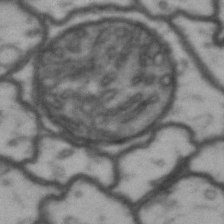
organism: Drosophila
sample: Brain